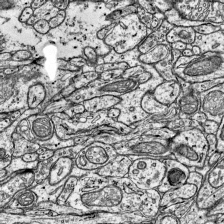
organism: Mouse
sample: Visual Cortex